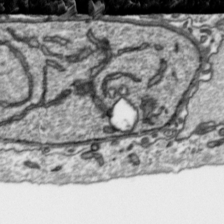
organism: Toxoplasma gondii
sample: Parasites in a vacuole inside a host cell